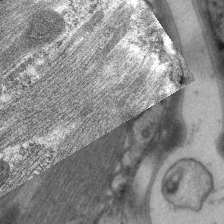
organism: C. elegans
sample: Pharynx